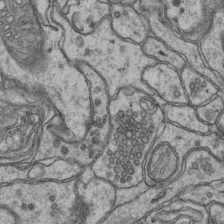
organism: Mouse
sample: CA1 Hippocampus